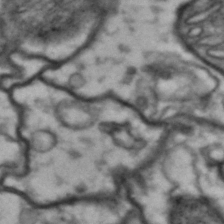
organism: Drosophila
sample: Brain